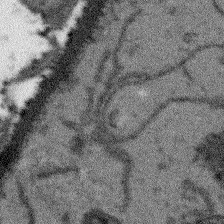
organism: Arabidopsis thaliana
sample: Root tip